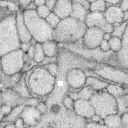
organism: Rabbit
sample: Retina